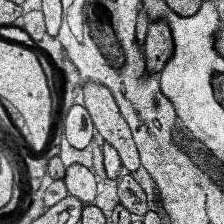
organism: Human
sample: Temporal Lobe